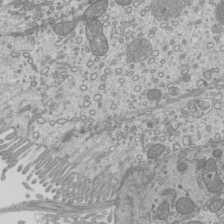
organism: Mouse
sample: Cilia; mouse epididymis